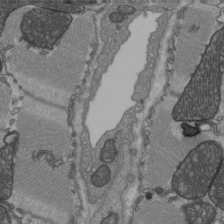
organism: C57BL Mouse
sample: Heart